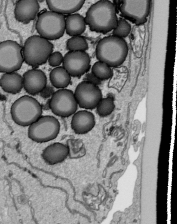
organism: Human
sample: Mitochondria in HCT116 cells